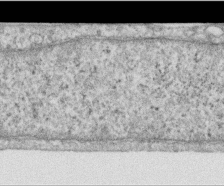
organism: Human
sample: Centriole in RPE cells